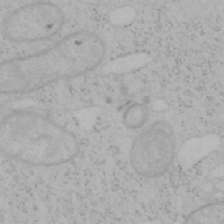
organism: Mouse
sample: OT-I killer T cells with ID8 ovarian cancer cells